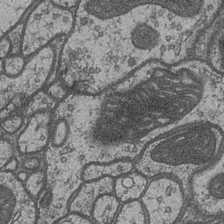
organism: Drosophila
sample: Optic medulla